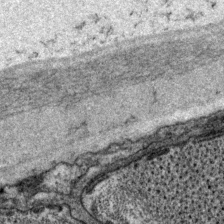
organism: P. pacificus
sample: Pharynx